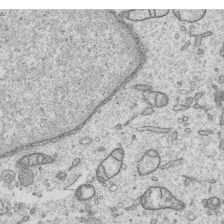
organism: Human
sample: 1205lu cells